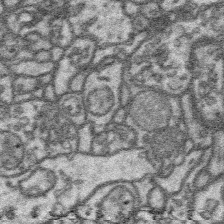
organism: Platynereis dumerilii